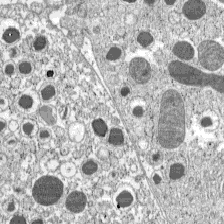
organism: C57BL Mouse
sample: Pancreatic islet